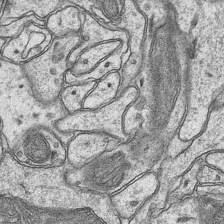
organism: Mouse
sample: CA1 Hippocampus